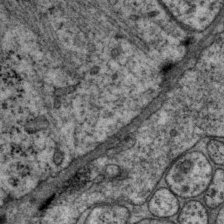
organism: P. pacificus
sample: Pharynx